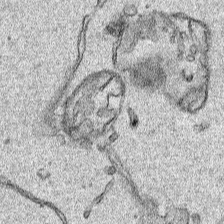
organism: Human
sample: Mitochondria in HCT116 cells